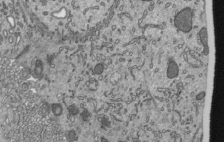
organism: Mouse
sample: Mouse epididymis efferent ductule cilia